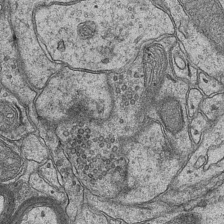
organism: Mouse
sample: CA1 Hippocampus